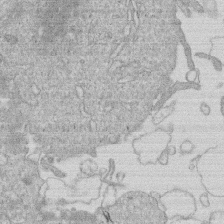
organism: Human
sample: Macrophage cells